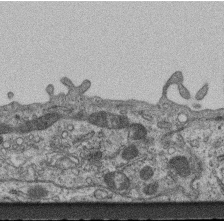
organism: Mouse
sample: Centriole in ependymal cells